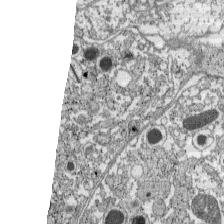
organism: C57BL Mouse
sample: Pancreatic islet